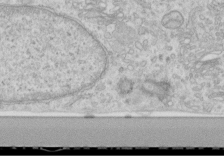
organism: Human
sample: Centriole in RPE cells